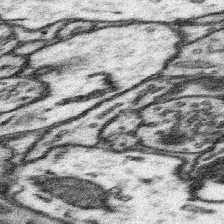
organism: Mouse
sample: Somatosensory cortex neuropil